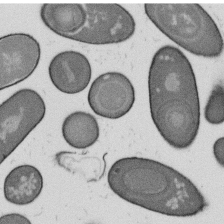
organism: B. subtilis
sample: Bacterial spore